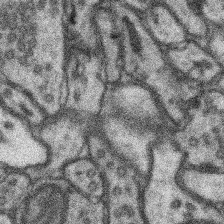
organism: Mouse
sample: Somatosensory cortex neuropil